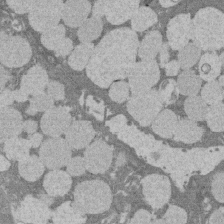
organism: Rat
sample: Salivary granule